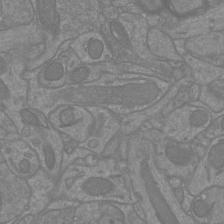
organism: Mouse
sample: Cortical neurons